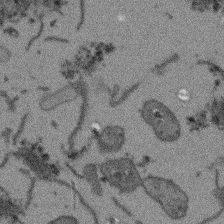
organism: Arabidopsis thaliana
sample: Root tip